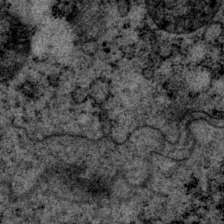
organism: P. pacificus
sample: Pharynx